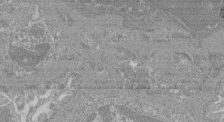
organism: Mouse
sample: Glomerulus